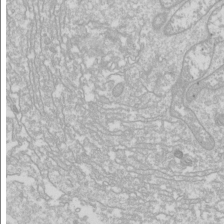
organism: Drosophila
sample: Cell division; meiosis; drosophila spermatocytes